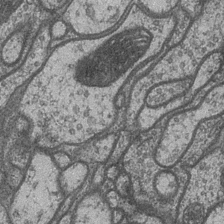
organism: Drosophila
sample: Optic medulla